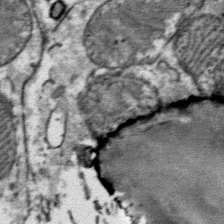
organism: Mouse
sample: Mouse Salivary gland